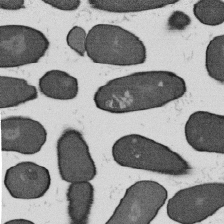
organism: B. subtilis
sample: Bacterial spore